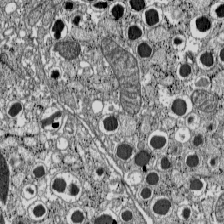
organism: C57BL Mouse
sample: Pancreatic islet